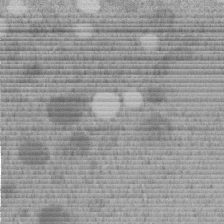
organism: C. elegans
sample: C. elegans embryo early stage